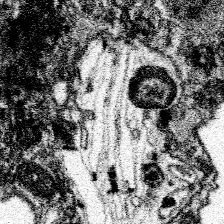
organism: Spongilla lacustris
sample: Neuroid cell